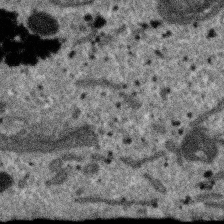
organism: Human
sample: Lung epithelial cells infected with SARS-CoV-2